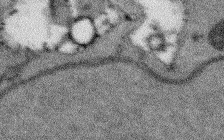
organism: Arabidopsis thaliana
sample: Root tip